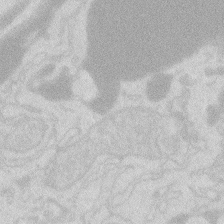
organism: Zebrafish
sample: Macrophage